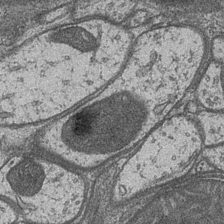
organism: Drosophila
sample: Optic medulla